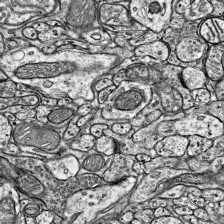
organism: Mouse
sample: Visual Cortex